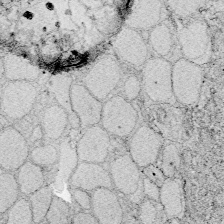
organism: Zebrafish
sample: Whole-Brain